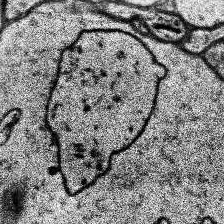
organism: Human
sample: Temporal Lobe